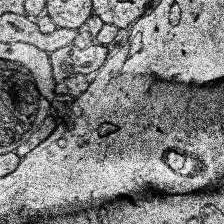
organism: Human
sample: Temporal Lobe